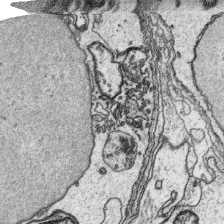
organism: Platynereis dumerilii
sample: Parapodia